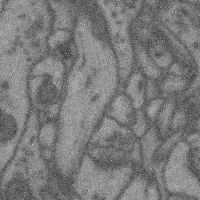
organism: Mouse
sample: Cerebral cortex